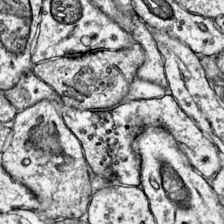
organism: Mouse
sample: Primary visual cortex